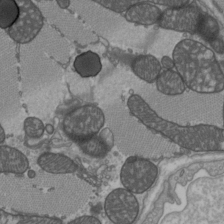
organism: C57BL Mouse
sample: Heart